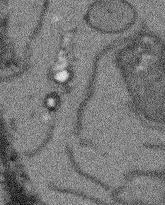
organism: Arabidopsis thaliana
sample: Root tip